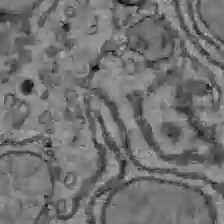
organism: C57BL Mouse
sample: Liver